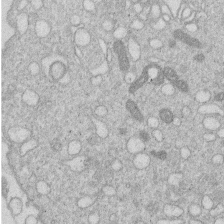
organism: Human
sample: Macrophage cells